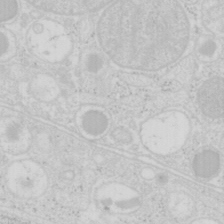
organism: Mouse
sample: Pancreas